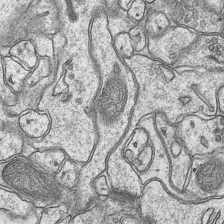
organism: Mouse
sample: CA1 Hippocampus